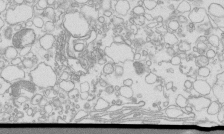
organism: Mouse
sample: Macrophages